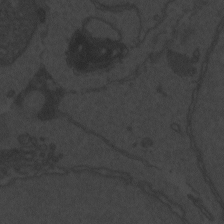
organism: Zebrafish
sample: Macrophage infected with Toxoplasma gondii